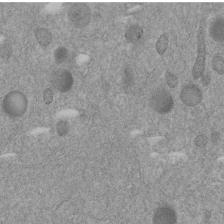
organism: C. elegans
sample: C. elegans embryo early stage